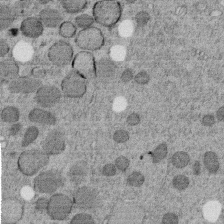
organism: C. elegans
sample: C. elegans embryo early stage